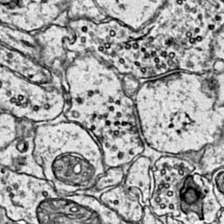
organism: Mouse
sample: Primary visual cortex